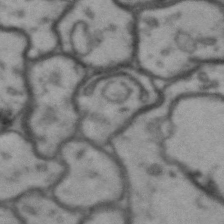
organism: Drosophila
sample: Brain